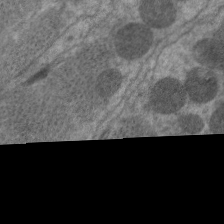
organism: C. elegans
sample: Pharynx